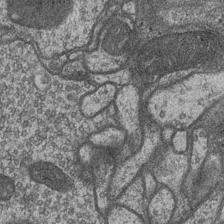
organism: Drosophila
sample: Optic medulla